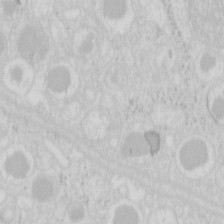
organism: Mouse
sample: Pancreas